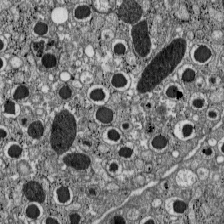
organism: C57BL Mouse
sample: Pancreatic islet